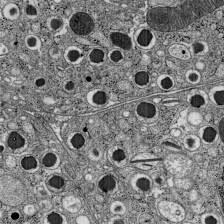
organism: C57BL Mouse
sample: Pancreatic islet